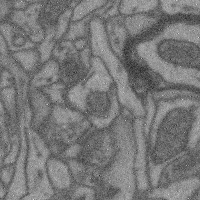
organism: Mouse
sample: Cerebral cortex